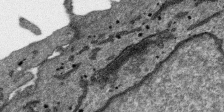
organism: Human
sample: Lung epithelial cells, uninfected (mock) control